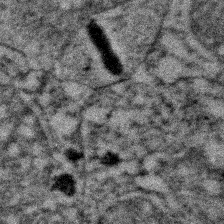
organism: Zebrafish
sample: Zebrafish embryo